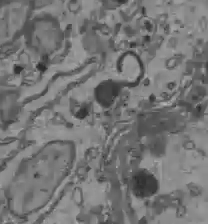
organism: C57BL Mouse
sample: Liver